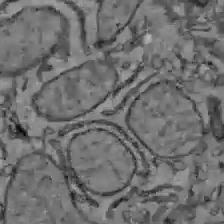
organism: C57BL Mouse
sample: Liver